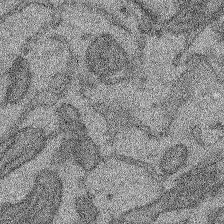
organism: Human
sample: HeLa cells